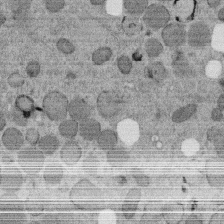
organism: C. elegans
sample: C. elegans embryo early stage